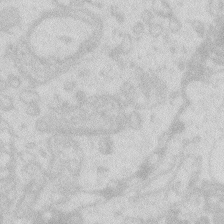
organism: Zebrafish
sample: Macrophage